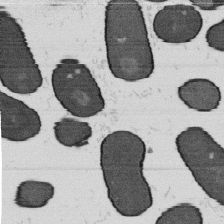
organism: B. subtilis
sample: Bacterial spore